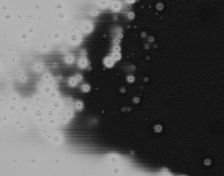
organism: Mouse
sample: Cancer cell death in ED-1 cells